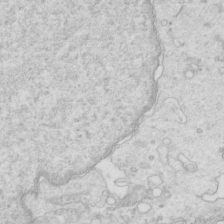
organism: Mouse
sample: Multiciliated cells